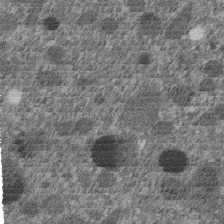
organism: C. elegans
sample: C. elegans embryo early stage